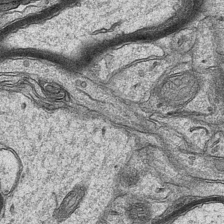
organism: Mouse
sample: CA1 Hippocampus